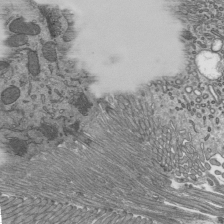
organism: Mouse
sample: Mouse epididymis efferent ductule cilia